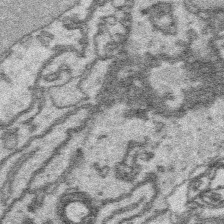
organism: Platynereis dumerilii